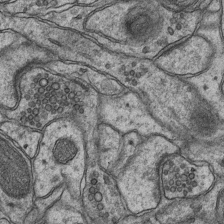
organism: Mouse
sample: CA1 Hippocampus